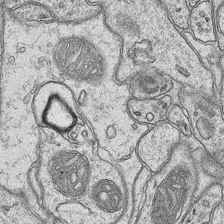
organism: Mouse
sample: CA1 Hippocampus